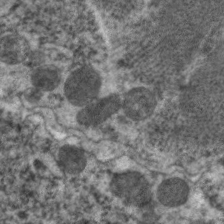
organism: C. elegans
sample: Pharynx